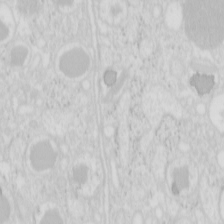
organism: Mouse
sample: Pancreas